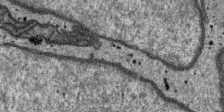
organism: Human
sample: Lung epithelial cells, uninfected (mock) control